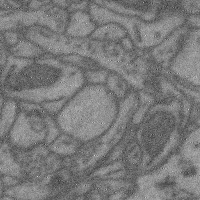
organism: Mouse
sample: Cerebral cortex